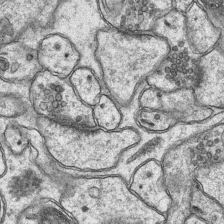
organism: Mouse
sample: CA1 Hippocampus